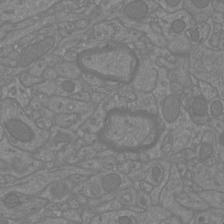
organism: Mouse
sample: Cortical neurons